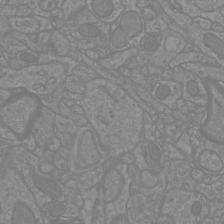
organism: Mouse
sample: Cortical neurons